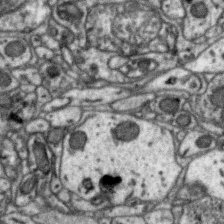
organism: Zebra finch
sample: Brain